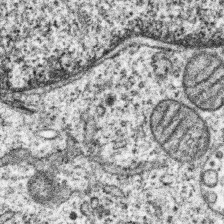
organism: Human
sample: HeLa cells